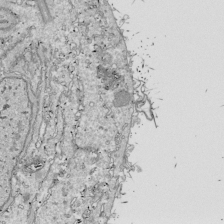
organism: Drosophila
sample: Cell division; meiosis; drosophila spermatocytes